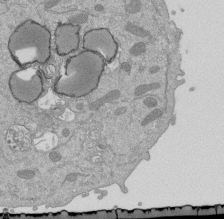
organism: Mouse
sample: ED-1 cell nuclei; centrioles